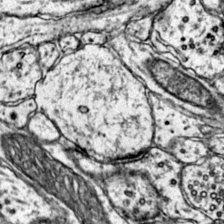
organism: Mouse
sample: Primary visual cortex